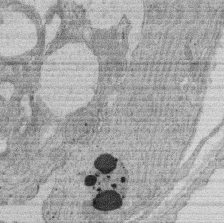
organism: Rat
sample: Salivary granule